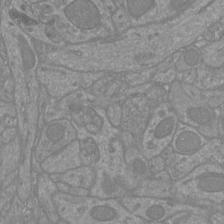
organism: Mouse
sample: Cortical neurons